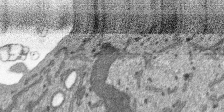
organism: Human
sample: Lung epithelial cells infected with SARS-CoV-2